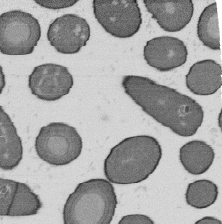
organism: B. subtilis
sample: Bacterial spore